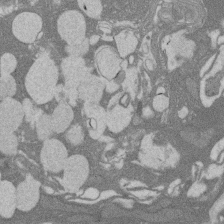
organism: Rat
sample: Salivary granule